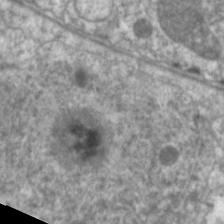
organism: C. elegans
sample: Pharynx